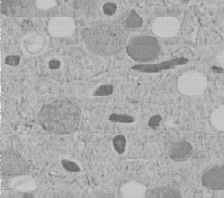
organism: C. elegans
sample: C. elegans embryo early stage